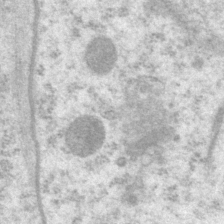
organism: P. pacificus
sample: Pharynx